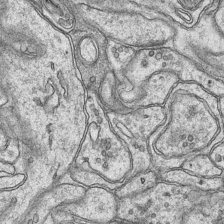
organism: Mouse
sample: CA1 Hippocampus